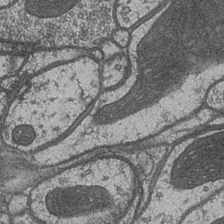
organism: Drosophila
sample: Optic medulla